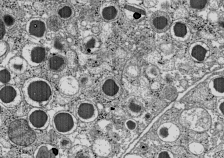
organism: C57BL Mouse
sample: Pancreatic islet